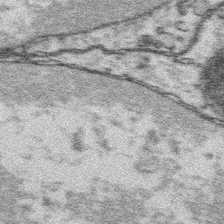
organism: Platynereis dumerilii